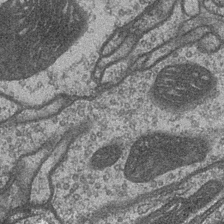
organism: Drosophila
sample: Optic medulla